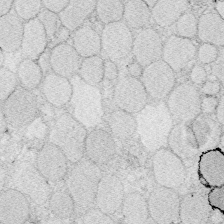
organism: Zebrafish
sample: Whole-Brain